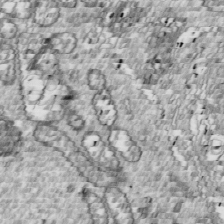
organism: Drosophila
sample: Cell division; meiosis; drosophila spermatocytes